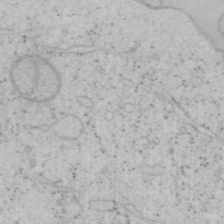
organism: Human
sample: HeLa cells